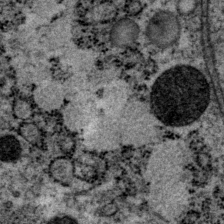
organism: P. pacificus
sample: Pharynx